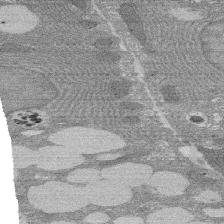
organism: Rat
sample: Salivary granule